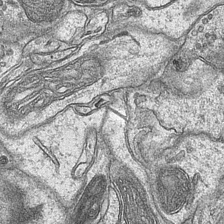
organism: Mouse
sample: CA1 Hippocampus